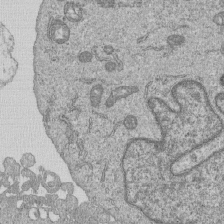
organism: Human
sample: MDA-MB-231 cells